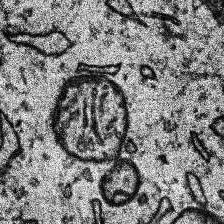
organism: Human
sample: Temporal Lobe